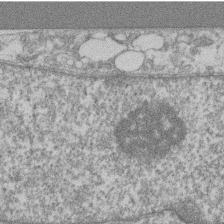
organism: Mouse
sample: T cell stromal cell synapse